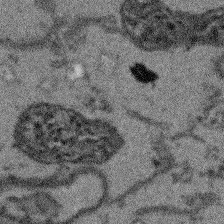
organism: Arabidopsis thaliana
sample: Root tip